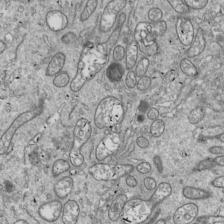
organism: Drosophila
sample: Cell division; meiosis; drosophila spermatocytes